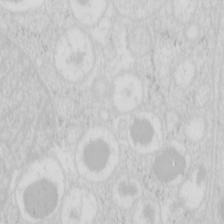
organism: Mouse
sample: Pancreas